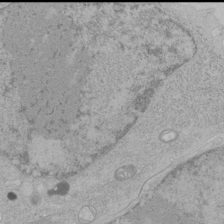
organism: Human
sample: Mitochondria in HCT116 cells